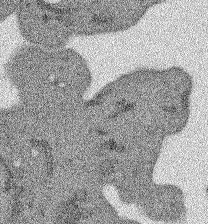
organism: Human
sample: HeLa cells